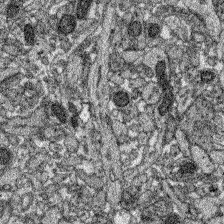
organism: Zebrafish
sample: Larval olfactory bulb